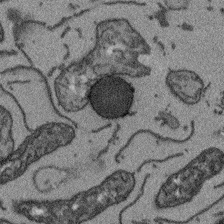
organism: Arabidopsis thaliana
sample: Root tip